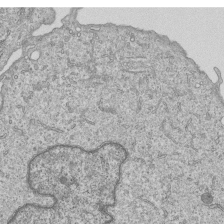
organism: Human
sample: MDA-MB-231 cells